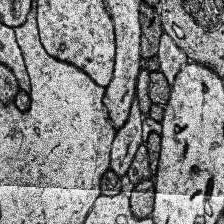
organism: Human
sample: Temporal Lobe